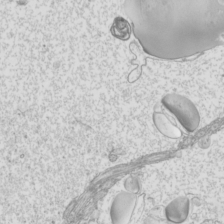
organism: Mouse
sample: Cilia; mouse epididymis